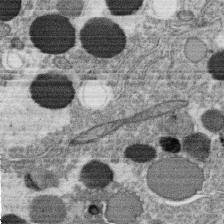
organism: C. elegans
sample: C. elegans oocyte; sperm cells